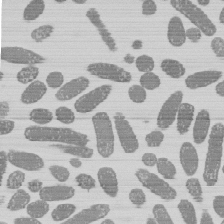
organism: E. coli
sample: Bacterial nucleoid